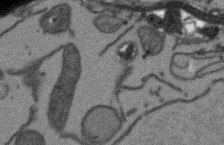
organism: Arabidopsis thaliana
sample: Root tip